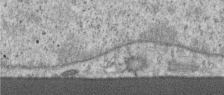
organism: Human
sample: Centriole in RPE cells